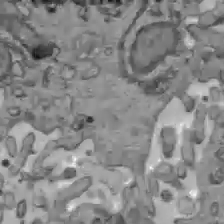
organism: C57BL Mouse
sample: Liver